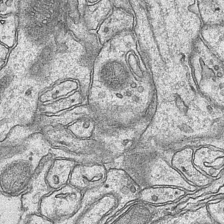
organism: Mouse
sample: CA1 Hippocampus